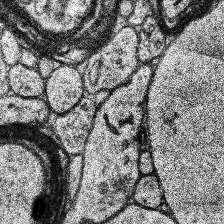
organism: Human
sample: Temporal Lobe